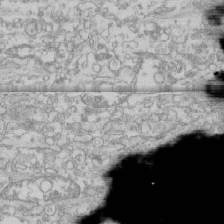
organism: Human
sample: CRL-1474